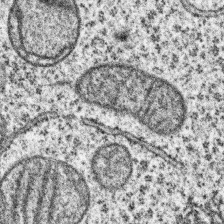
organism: Human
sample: HeLa cells